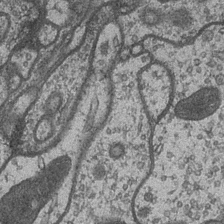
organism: Drosophila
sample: Optic medulla